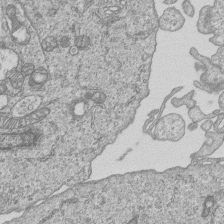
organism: Human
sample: MDA-MB-231 cells